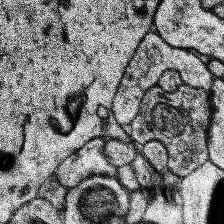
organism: Human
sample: Temporal Lobe